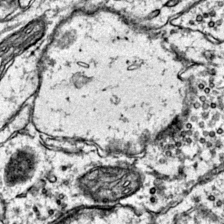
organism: Mouse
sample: Primary visual cortex